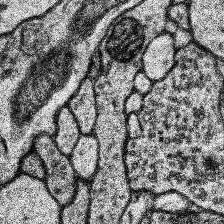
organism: Human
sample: Temporal Lobe